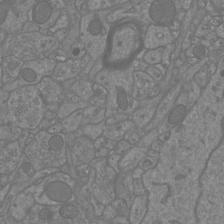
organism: Mouse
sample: Cortical neurons